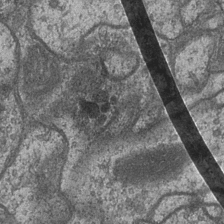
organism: Drosophila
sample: Optic medulla